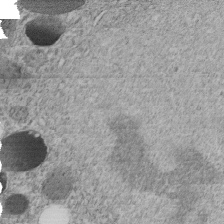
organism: C. elegans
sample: C. elegans embryo early stage